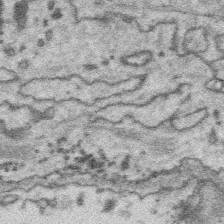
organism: Platynereis dumerilii